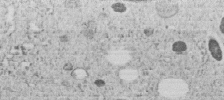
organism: C. elegans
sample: C. elegans embryo early stage